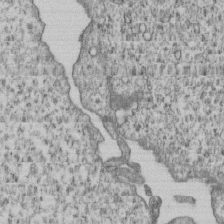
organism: Human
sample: MDA-MB-231 cells